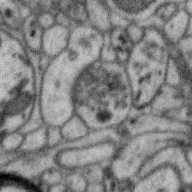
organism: Zebra finch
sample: Brain